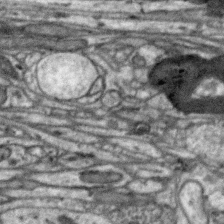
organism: Zebra finch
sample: Brain